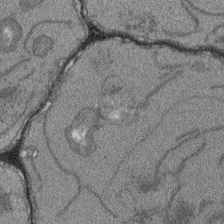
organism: Arabidopsis thaliana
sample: Root tip